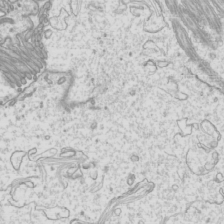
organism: Mouse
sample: Cilia; mouse epididymis